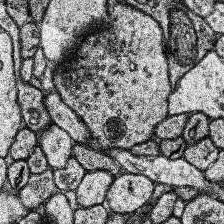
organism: Human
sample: Temporal Lobe